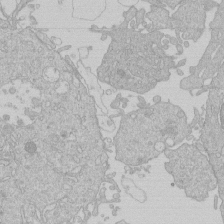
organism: Human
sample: Macrophage cells